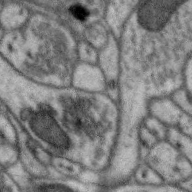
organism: Zebra finch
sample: Brain